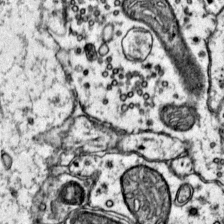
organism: Mouse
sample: Primary visual cortex